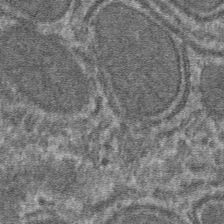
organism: Mouse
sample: Mouse hepatocytes